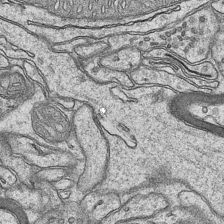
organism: Mouse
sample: CA1 Hippocampus